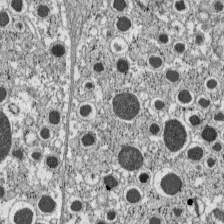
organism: C57BL Mouse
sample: Pancreatic islet